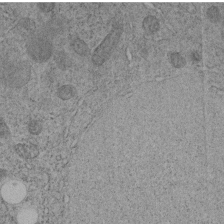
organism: C. elegans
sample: C. elegans embryo early stage